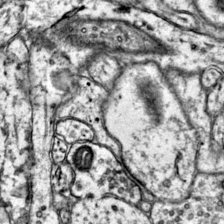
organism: Mouse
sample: Primary visual cortex